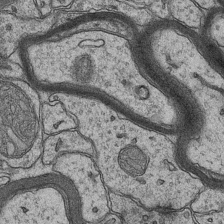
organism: Mouse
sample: CA1 Hippocampus